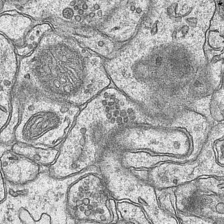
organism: Mouse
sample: CA1 Hippocampus